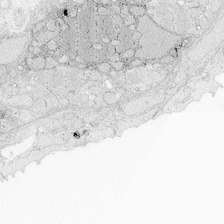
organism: Zebrafish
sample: Whole-Brain